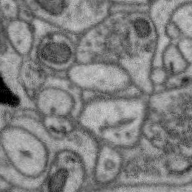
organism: Zebra finch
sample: Brain